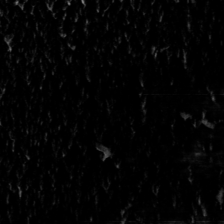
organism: Toxoplasma gondii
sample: Parasites in a vacuole inside a host cell